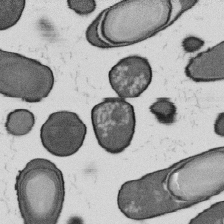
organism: B. subtilis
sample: Bacterial spore